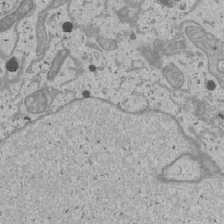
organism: Human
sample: Mitochondria in U2OS cells